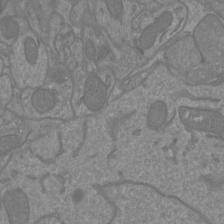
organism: Mouse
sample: Cortical neurons